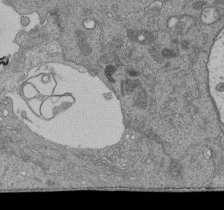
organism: Human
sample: Retinal organoid Rod and Cone cells